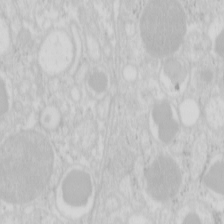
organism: Mouse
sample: Pancreas